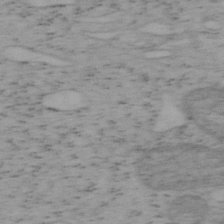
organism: Mouse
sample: OT-I killer T cells with ID8 ovarian cancer cells